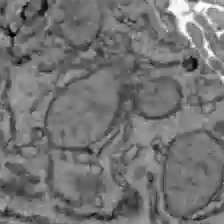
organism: C57BL Mouse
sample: Liver